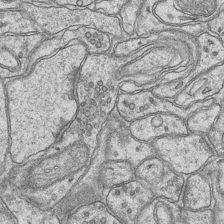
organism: Mouse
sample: CA1 Hippocampus